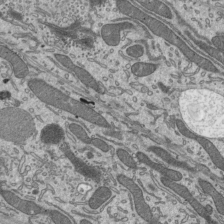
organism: Mouse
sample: Mouse epididymis efferent ductule cilia